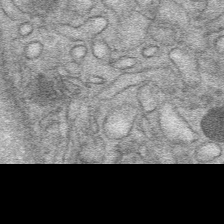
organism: Mouse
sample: Mouse Salivary gland